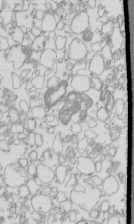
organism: Mouse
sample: Macrophages